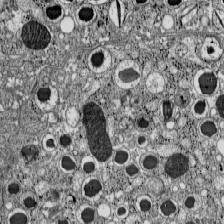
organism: C57BL Mouse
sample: Pancreatic islet